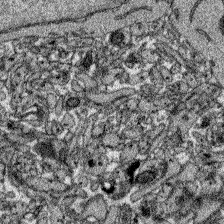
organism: Zebrafish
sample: Larval olfactory bulb